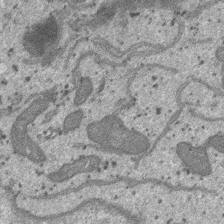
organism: Human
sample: Lung epithelial cells infected with SARS-CoV-2